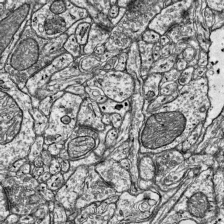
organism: Mouse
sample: Visual Cortex